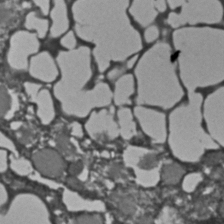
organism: C. elegans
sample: C. elegans embryo